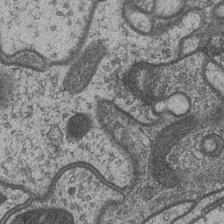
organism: Drosophila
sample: Optic medulla